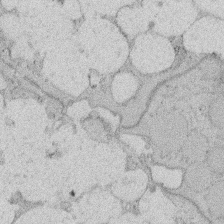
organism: Rat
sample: Salivary granule